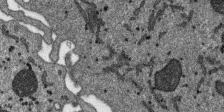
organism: Human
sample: Lung epithelial cells infected with SARS-CoV-2